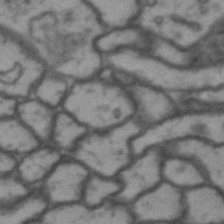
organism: Drosophila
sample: Brain